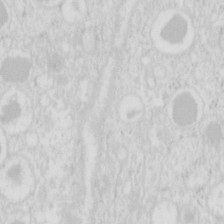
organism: Mouse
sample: Pancreas